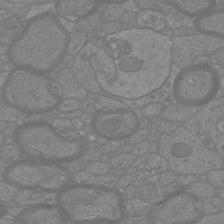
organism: Mouse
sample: Cortical neurons